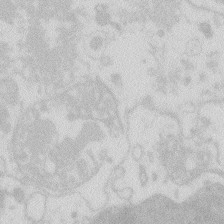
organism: Zebrafish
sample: Macrophage